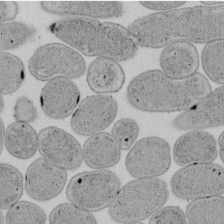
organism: E. coli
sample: Bacterial nucleoid